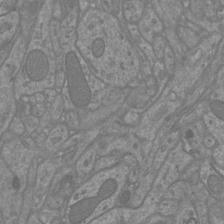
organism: Mouse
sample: Cortical neurons